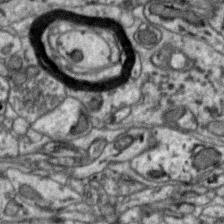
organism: Zebra finch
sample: Brain